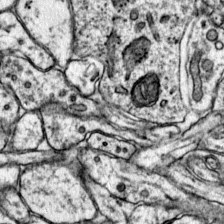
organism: Mouse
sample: Primary visual cortex